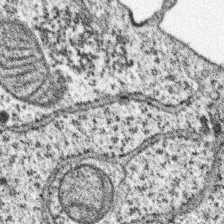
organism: Human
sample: HeLa cells